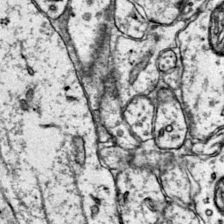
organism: Mouse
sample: Primary visual cortex